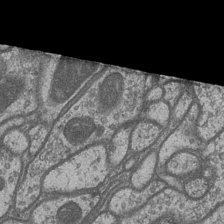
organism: Drosophila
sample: Optic medulla